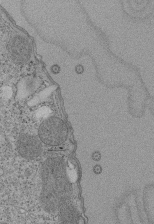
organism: Tetrahymena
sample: Cilia in tetrahymena